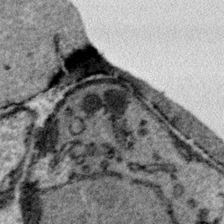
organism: Plasmodium falciparum